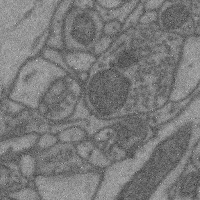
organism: Mouse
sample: Cerebral cortex